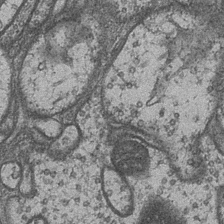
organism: Drosophila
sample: Optic medulla